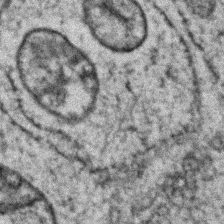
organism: Zebrafish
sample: Zebrafish embryo